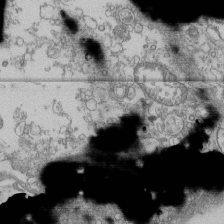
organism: Human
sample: Fibroblast cells